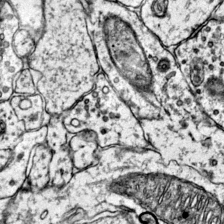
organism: Mouse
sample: Primary visual cortex